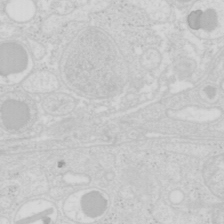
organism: Mouse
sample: Pancreas